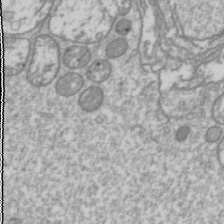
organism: Drosophila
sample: Cell division; meiosis; drosophila spermatocytes